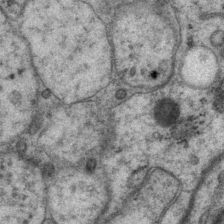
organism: P. pacificus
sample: Pharynx